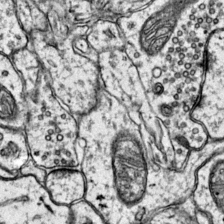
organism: Mouse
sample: Primary visual cortex